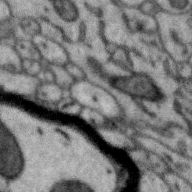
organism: Zebra finch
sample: Brain